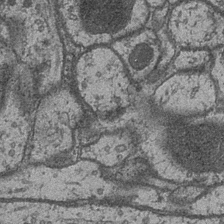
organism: Drosophila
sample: Optic medulla